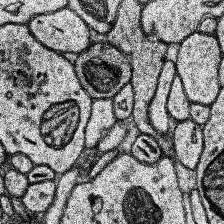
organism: Human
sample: Temporal Lobe